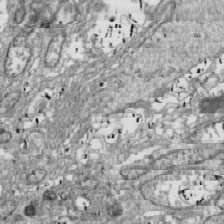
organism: Drosophila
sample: Cell division; meiosis; drosophila spermatocytes